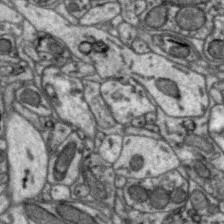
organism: Zebra finch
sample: Brain